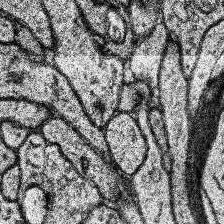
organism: Human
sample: Temporal Lobe